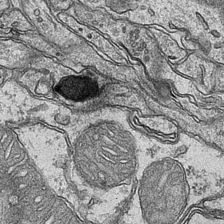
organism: Mouse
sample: CA1 Hippocampus